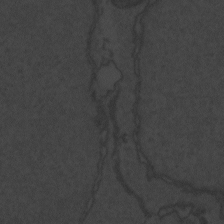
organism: Zebrafish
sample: Macrophage infected with Toxoplasma gondii